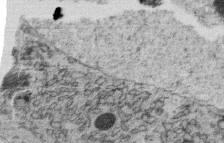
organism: C. elegans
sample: C. elegans oocyte; sperm cells